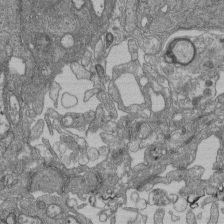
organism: Human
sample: Retinal organoid Rod and Cone cells